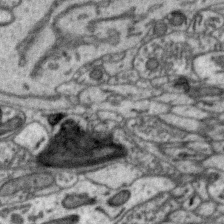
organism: Zebra finch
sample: Brain